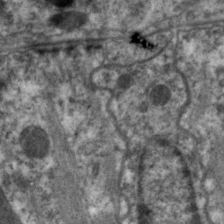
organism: C. elegans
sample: Pharynx